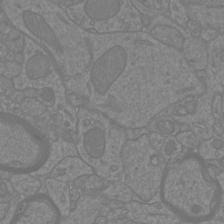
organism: Mouse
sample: Cortical neurons